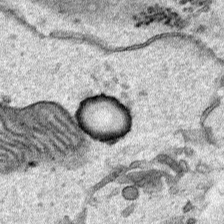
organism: Human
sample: Mitochondria in HCT116 cells